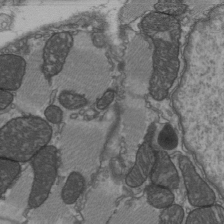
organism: C57BL Mouse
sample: Heart